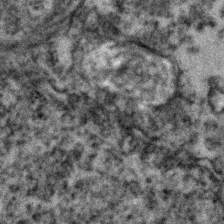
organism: Zebrafish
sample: Zebrafish embryo